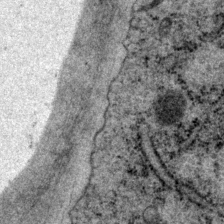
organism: P. pacificus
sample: Pharynx